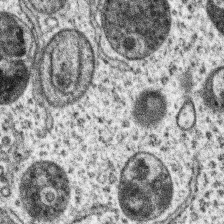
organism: Human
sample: HeLa cells